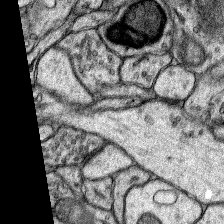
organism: Rat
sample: Hippocampus